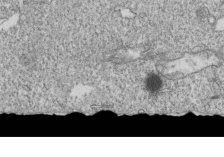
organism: Human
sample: HeLa cell HIV synapse